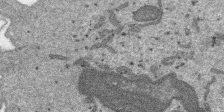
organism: Human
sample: Lung epithelial cells infected with SARS-CoV-2